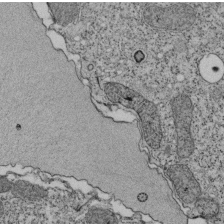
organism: Tetrahymena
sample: Cilia in tetrahymena